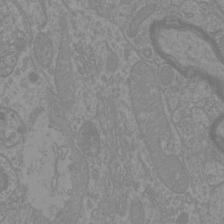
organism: Mouse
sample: Cortical neurons